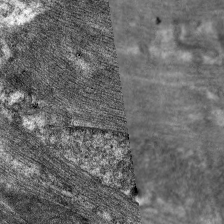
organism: C. elegans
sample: Pharynx